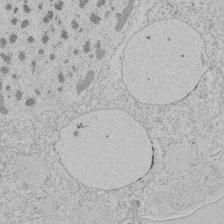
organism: Tetrahymena